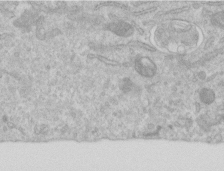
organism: Human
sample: Centriole in RPE cells